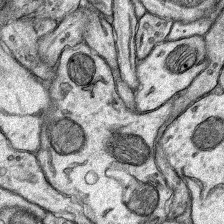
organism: Rat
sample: Hippocampus